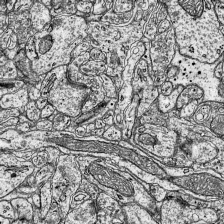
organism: Mouse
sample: Visual Cortex